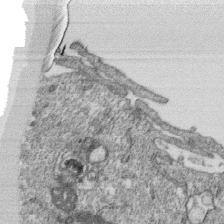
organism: African green monkey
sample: Vero E6 cells infected with SARS-CoV-2